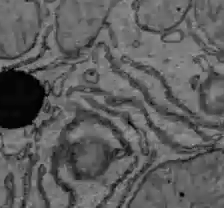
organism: C57BL Mouse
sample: Liver